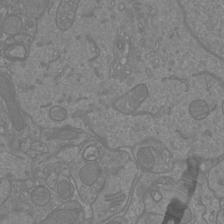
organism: Mouse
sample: Cortical neurons